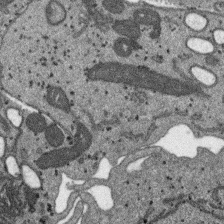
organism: Human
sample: Lung epithelial cells infected with SARS-CoV-2